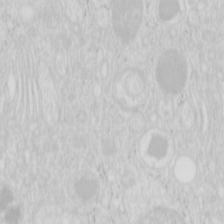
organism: Mouse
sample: Pancreas